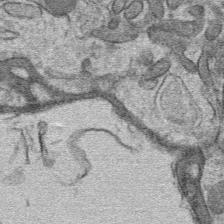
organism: Mouse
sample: Mouse hepatocytes